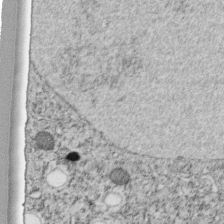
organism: C. elegans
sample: C. elegans embryo early stage